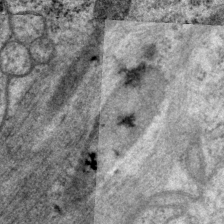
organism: P. pacificus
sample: Pharynx